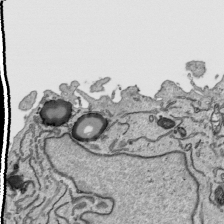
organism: Human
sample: Mitochondria in HCT116 cells